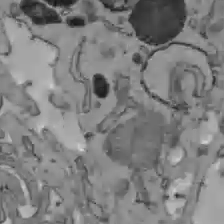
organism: C57BL Mouse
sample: Liver